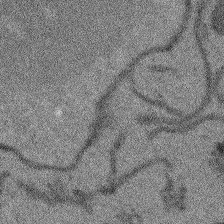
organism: Arabidopsis thaliana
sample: Root tip